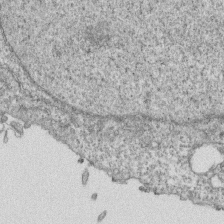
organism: Human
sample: HeLa cell HIV synapse